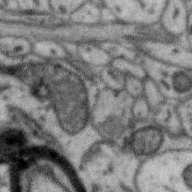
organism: Zebra finch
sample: Brain